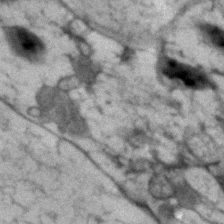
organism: Human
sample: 1205lu cells